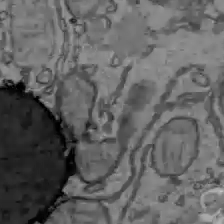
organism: C57BL Mouse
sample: Liver